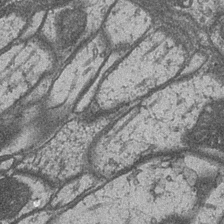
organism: Drosophila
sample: Optic medulla